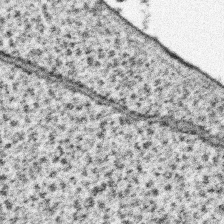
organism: Human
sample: HeLa cells